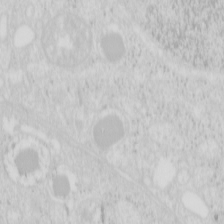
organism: Mouse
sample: Pancreas